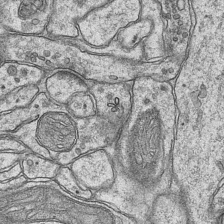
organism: Mouse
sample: CA1 Hippocampus